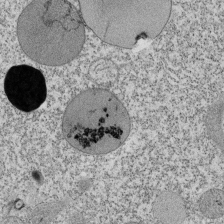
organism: Tetrahymena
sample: Cilia in tetrahymena